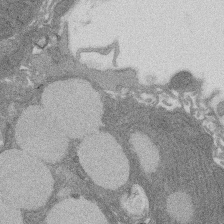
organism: Rat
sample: Salivary granule